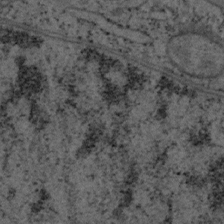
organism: Human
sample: HeLa cells